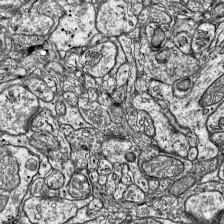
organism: Mouse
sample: Visual Cortex